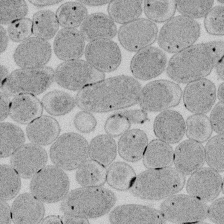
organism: E. coli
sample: Bacterial nucleoid